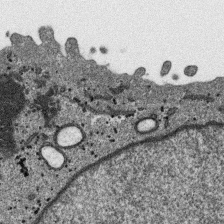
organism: Human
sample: Lung epithelial cells infected with SARS-CoV-2